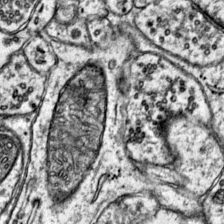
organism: Mouse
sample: Primary visual cortex